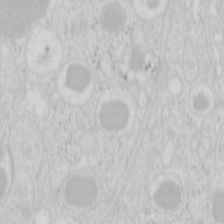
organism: Mouse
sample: Pancreas